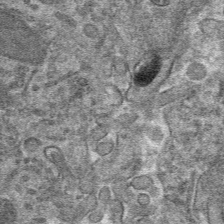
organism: Mouse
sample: Mouse hepatocytes